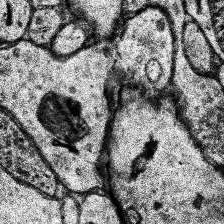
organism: Human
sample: Temporal Lobe